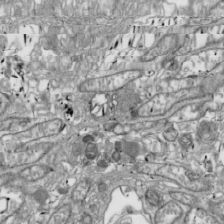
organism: Drosophila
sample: Cell division; meiosis; drosophila spermatocytes